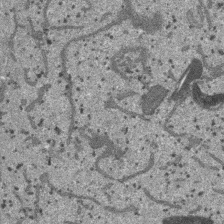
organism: Human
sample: Lung epithelial cells infected with SARS-CoV-2